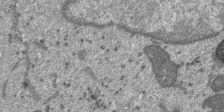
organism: Human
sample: Lung epithelial cells infected with SARS-CoV-2